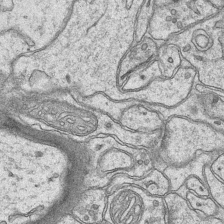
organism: Mouse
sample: CA1 Hippocampus